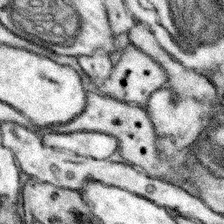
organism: Mouse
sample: Somatosensory cortex neuropil